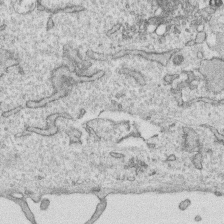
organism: Human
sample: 1205lu cells